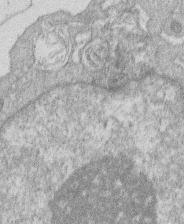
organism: Human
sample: Macrophage cells